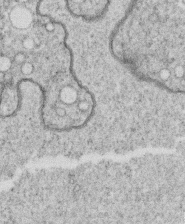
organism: C. elegans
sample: C. elegans oocyte; sperm cells